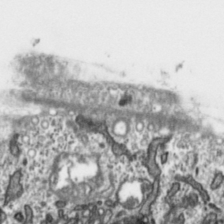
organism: Toxoplasma gondii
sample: Parasites in a vacuole inside a host cell